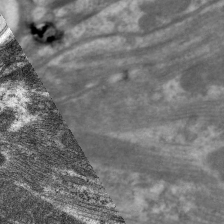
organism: C. elegans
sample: Pharynx